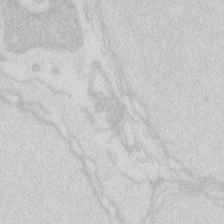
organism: Zebrafish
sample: Macrophage